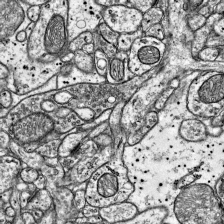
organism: Mouse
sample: Visual Cortex